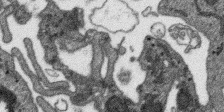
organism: Human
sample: Lung epithelial cells infected with SARS-CoV-2